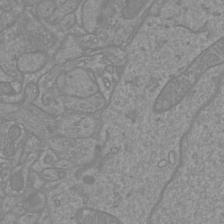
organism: Mouse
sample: Cortical neurons